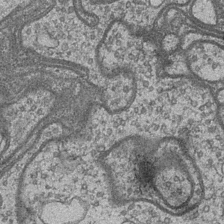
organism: Drosophila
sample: Optic medulla